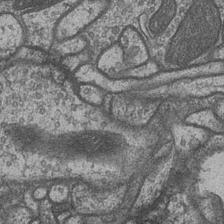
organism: Drosophila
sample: Optic medulla